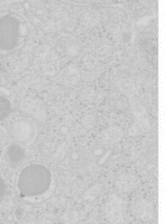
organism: Mouse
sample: Pancreas